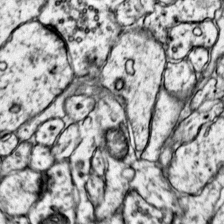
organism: Mouse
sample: Primary visual cortex